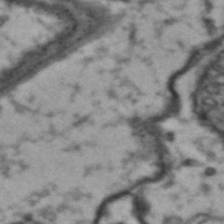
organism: Drosophila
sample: Brain